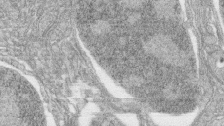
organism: Zebrafish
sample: synaptic ribbons in rod cells and cone cells